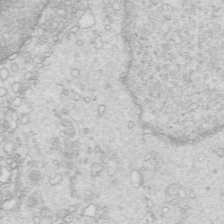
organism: Mouse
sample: Multiciliated cells